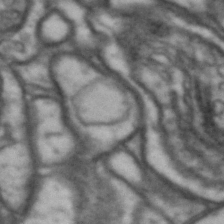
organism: Drosophila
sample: Brain